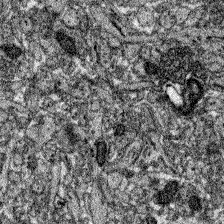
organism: Zebrafish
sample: Larval olfactory bulb